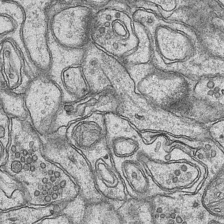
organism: Mouse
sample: CA1 Hippocampus